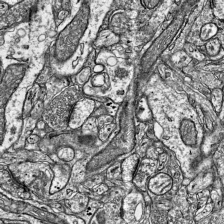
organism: Mouse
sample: Visual Cortex